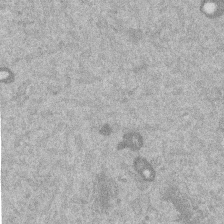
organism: Mouse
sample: Dividing mouse embryo 1 cell stage